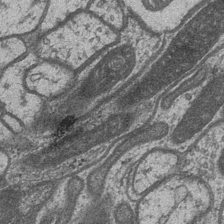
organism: Drosophila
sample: Optic medulla